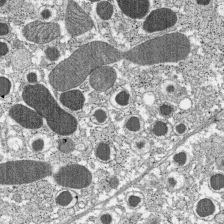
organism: C57BL Mouse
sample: Pancreatic islet